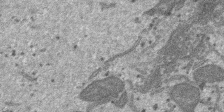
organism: Human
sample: Lung epithelial cells infected with SARS-CoV-2